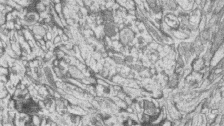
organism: Zebrafish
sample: synaptic ribbons in rod cells and cone cells